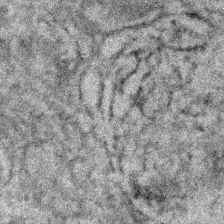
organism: Human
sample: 1205lu cells